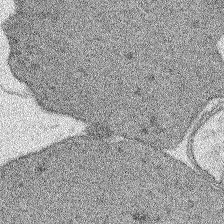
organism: Human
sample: HeLa cells